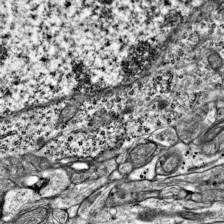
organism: Mouse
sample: Visual Cortex